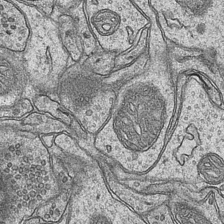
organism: Mouse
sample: CA1 Hippocampus